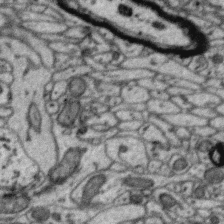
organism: Zebra finch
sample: Brain